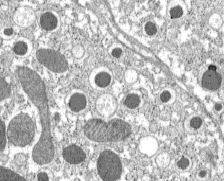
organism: C57BL Mouse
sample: Pancreatic islet